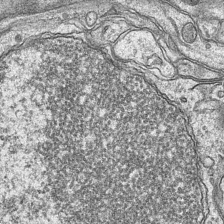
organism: Mouse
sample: CA1 Hippocampus